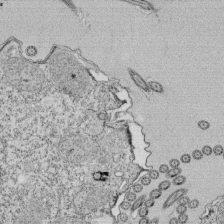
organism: Tetrahymena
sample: Cilia in tetrahymena